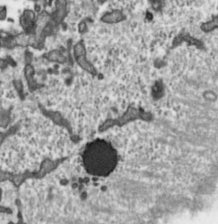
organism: Toxoplasma gondii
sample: Parasites in a vacuole inside a host cell